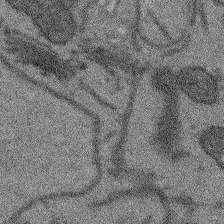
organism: Arabidopsis thaliana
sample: Root tip